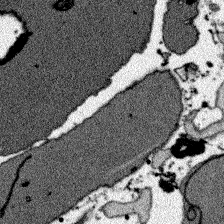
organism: Zebrafish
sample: Larval olfactory bulb